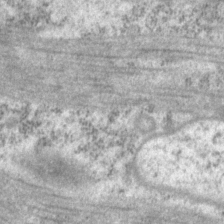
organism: P. pacificus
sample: Pharynx